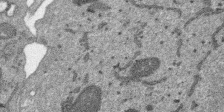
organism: Human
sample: Lung epithelial cells infected with SARS-CoV-2